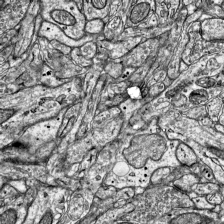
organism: Mouse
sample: Visual Cortex